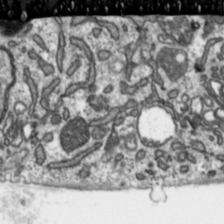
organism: Toxoplasma gondii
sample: Parasites in a vacuole inside a host cell